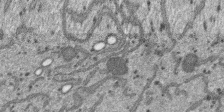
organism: Human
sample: Lung epithelial cells infected with SARS-CoV-2